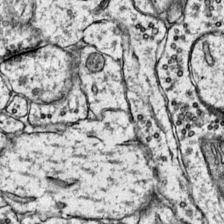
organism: Mouse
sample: Primary visual cortex